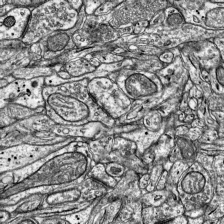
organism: Mouse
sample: Visual Cortex